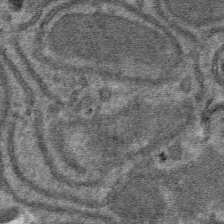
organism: Mouse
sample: Mouse hepatocytes